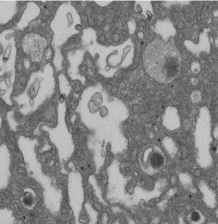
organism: Drosophila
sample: Nephrocyte